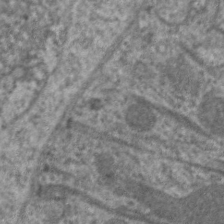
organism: C. elegans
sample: Pharynx